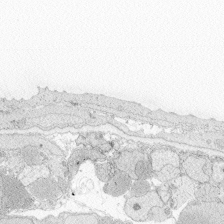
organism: Zebrafish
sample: Whole-Brain